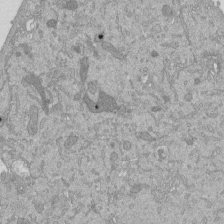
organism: Mouse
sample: ED-1 cell nuclei; centrioles